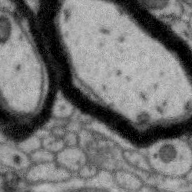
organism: Zebra finch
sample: Brain